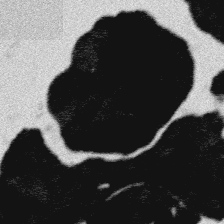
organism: Platynereis dumerilii